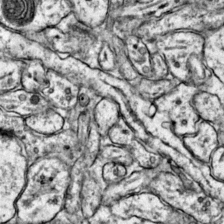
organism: Mouse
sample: Primary visual cortex